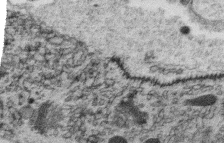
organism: C. elegans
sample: C. elegans oocyte; sperm cells